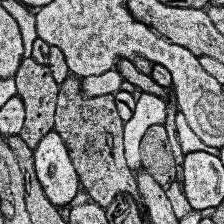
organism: Human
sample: Temporal Lobe